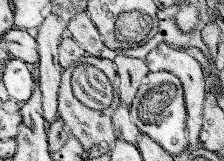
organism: Mouse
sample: Somatosensory cortex neuropil